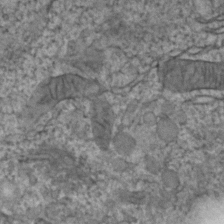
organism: Zebrafish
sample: Zebrafish embryo